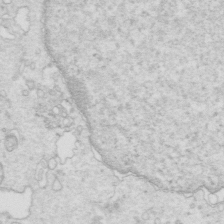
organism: Mouse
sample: Multiciliated cells